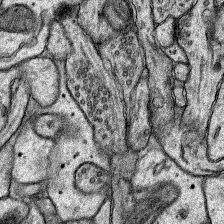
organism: Rat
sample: Hippocampus